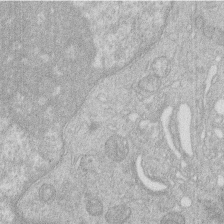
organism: Human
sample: Macrophage cells